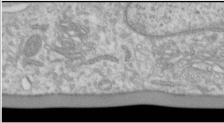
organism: Human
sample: Cilia; basal body in RPE cells